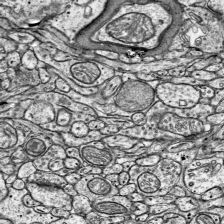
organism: Mouse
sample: Visual Cortex